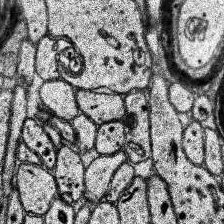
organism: Human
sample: Temporal Lobe